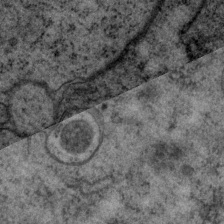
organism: P. pacificus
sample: Pharynx